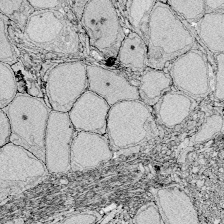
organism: Zebrafish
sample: Whole-Brain